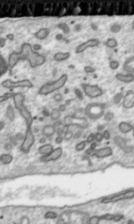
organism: Toxoplasma gondii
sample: Parasites in a vacuole inside a host cell